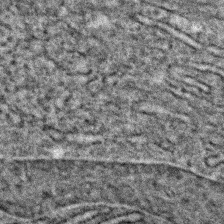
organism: C. elegans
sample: C. elegans embryo